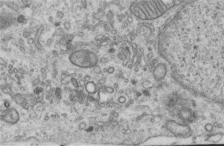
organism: Human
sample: Centriole in RPE cells